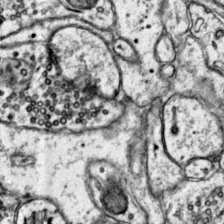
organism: Mouse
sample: Primary visual cortex